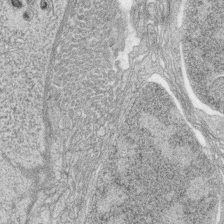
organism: Zebrafish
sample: synaptic ribbons in rod cells and cone cells